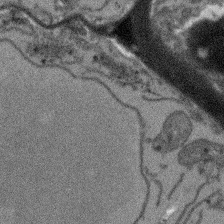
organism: Arabidopsis thaliana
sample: Root tip